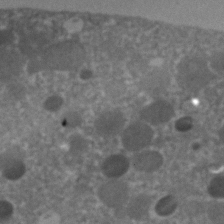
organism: C. elegans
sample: C. elegans embryo